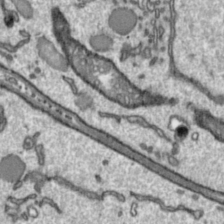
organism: Toxoplasma gondii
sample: Parasites in a vacuole inside a host cell